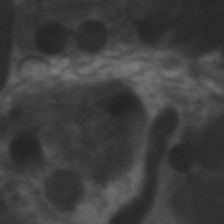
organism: C. elegans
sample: Pharynx